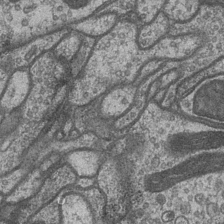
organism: Drosophila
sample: Optic medulla